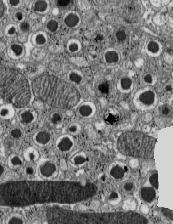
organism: C57BL Mouse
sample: Pancreatic islet